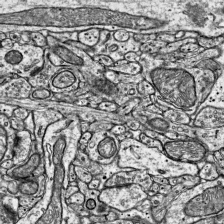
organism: Mouse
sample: Visual Cortex